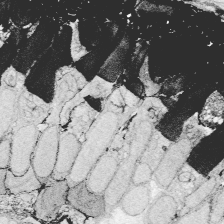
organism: Zebrafish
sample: Whole-Brain